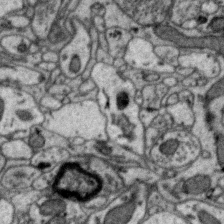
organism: Zebra finch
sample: Brain